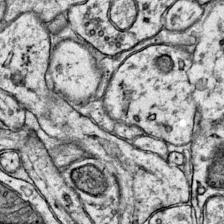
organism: Mouse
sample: Primary visual cortex